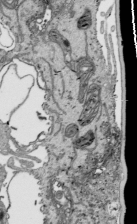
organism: Human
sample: Mitochondria in HCT116 cells